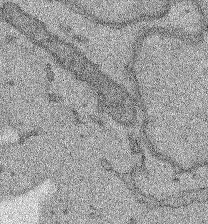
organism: Human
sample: HeLa cells